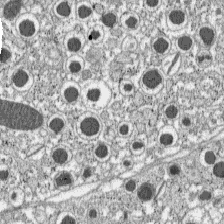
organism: C57BL Mouse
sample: Pancreatic islet